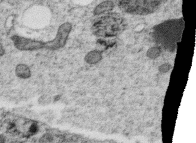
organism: C. elegans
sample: C. elegans oocyte; sperm cells